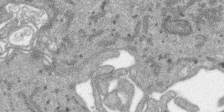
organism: Human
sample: Lung epithelial cells infected with SARS-CoV-2